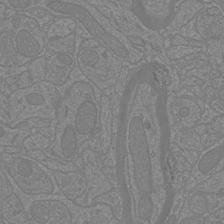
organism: Mouse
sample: Cortical neurons